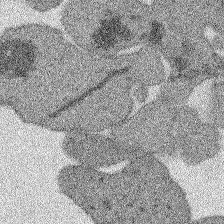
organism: Human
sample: HeLa cells